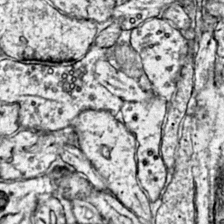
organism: Mouse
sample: Primary visual cortex